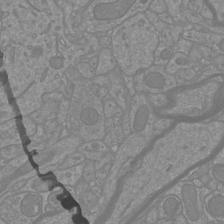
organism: Mouse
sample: Cortical neurons